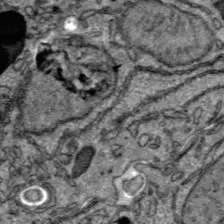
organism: C57BL Mouse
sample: Liver